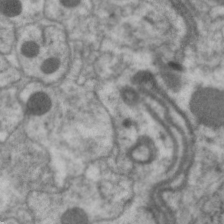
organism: C. elegans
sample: Pharynx